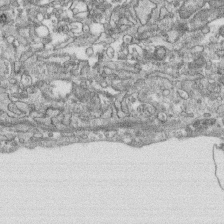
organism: Human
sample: CRL-1474